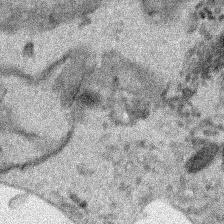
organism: Human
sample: Mitochondria in HCT116 cells